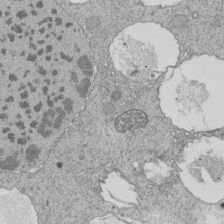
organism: Tetrahymena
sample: Cilia in tetrahymena